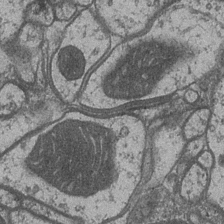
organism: Drosophila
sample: Optic medulla